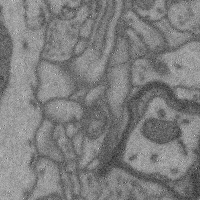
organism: Mouse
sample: Cerebral cortex